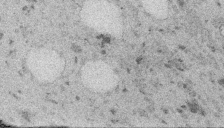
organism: Embia sp.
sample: Silk gland